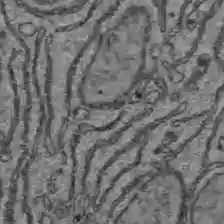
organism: C57BL Mouse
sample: Liver